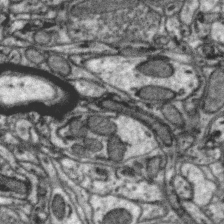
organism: Zebra finch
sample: Brain